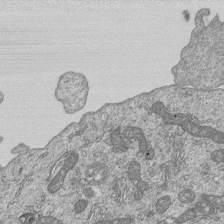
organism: Human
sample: MDA-MB-231 cells